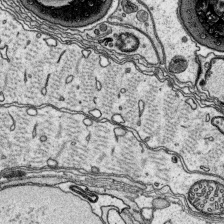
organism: Platynereis dumerilii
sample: Parapodia